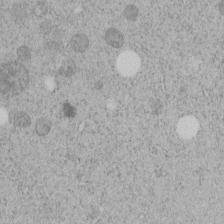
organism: C. elegans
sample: C. elegans embryo early stage